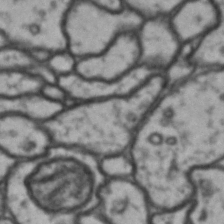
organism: Drosophila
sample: Brain